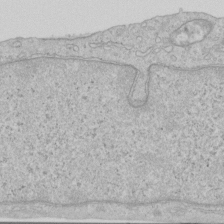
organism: Human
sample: Centriole in RPE cells